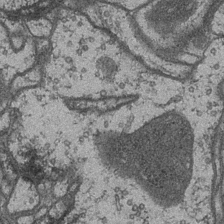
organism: Drosophila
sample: Optic medulla